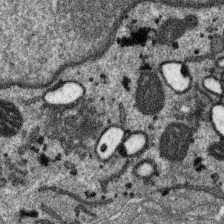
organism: Human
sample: Lung epithelial cells infected with SARS-CoV-2